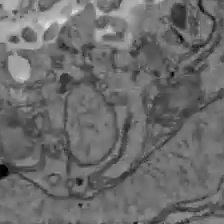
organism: C57BL Mouse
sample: Liver